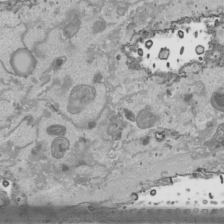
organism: Human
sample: Mitochondria in HCT116 cells